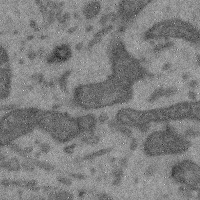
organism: Mouse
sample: Cerebral cortex